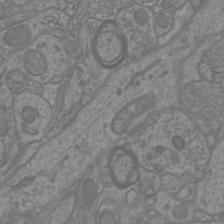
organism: Mouse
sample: Cortical neurons